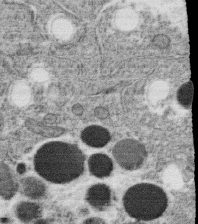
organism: C. elegans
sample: C. elegans oocyte; sperm cells